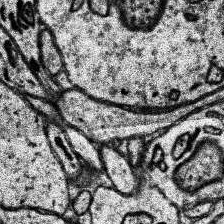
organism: Human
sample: Temporal Lobe